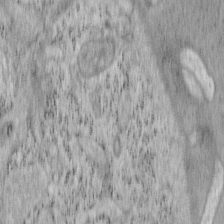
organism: Human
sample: HeLa cells